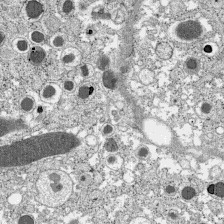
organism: C57BL Mouse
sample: Pancreatic islet